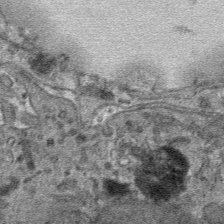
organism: Mouse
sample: Mouse hepatocytes